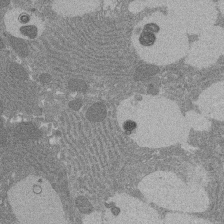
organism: Rat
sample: Salivary granule